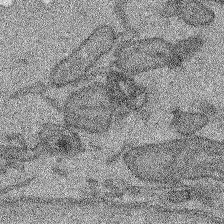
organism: Human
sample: HeLa cells